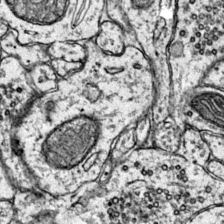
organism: Mouse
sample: Primary visual cortex